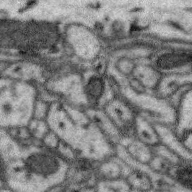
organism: Zebra finch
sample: Brain